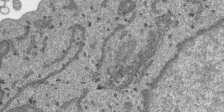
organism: Human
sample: Lung epithelial cells infected with SARS-CoV-2